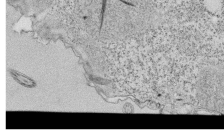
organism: Tetrahymena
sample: Cilia in tetrahymena